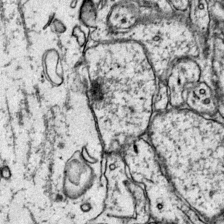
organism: Mouse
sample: Primary visual cortex